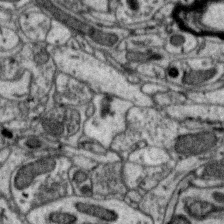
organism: Zebra finch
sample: Brain